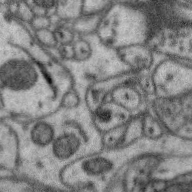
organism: Zebra finch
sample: Brain